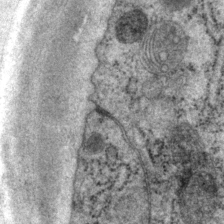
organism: P. pacificus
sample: Pharynx